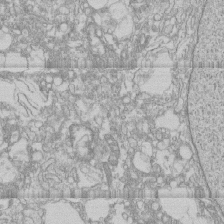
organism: Human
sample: CRL-1474